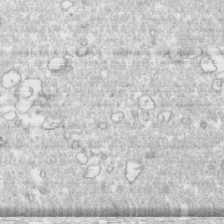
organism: Human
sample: CRL-1474